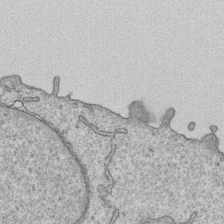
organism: Human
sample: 1205lu cells